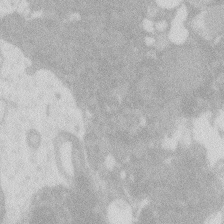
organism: Zebrafish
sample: Macrophage